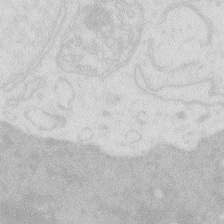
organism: Zebrafish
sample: Macrophage